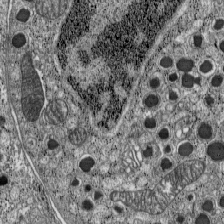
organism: C57BL Mouse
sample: Pancreatic islet